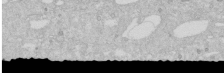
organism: Human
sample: Caco-2 cells